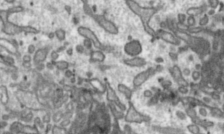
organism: Toxoplasma gondii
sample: Parasites in a vacuole inside a host cell